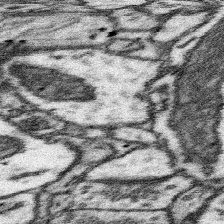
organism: Mouse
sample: Somatosensory cortex neuropil